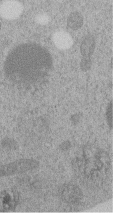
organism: C. elegans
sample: C. elegans embryo early stage